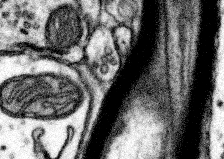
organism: Mouse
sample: Somatosensory cortex neuropil